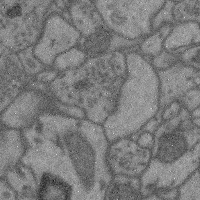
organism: Mouse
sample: Cerebral cortex